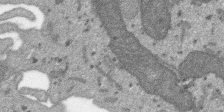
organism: Human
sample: Lung epithelial cells infected with SARS-CoV-2